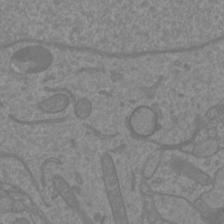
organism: Mouse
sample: Cortical neurons